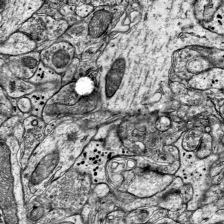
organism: Mouse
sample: Visual Cortex